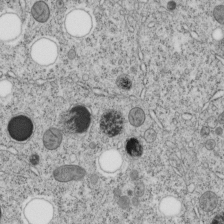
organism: C. elegans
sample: C. elegans embryo early stage